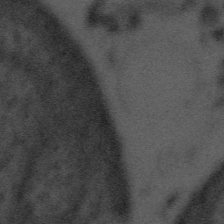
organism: Tuwongella immobilis